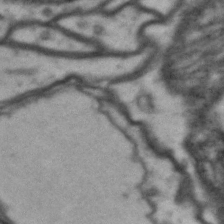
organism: Drosophila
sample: Brain